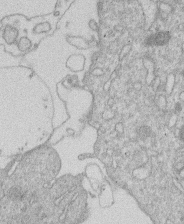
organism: Human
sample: Macrophage cells